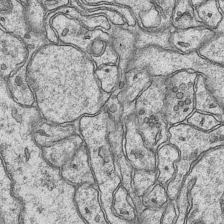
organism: Mouse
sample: CA1 Hippocampus